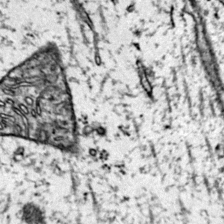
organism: Mouse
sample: Primary visual cortex